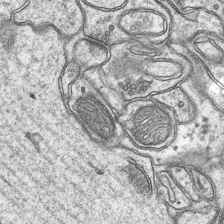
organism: Mouse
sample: CA1 Hippocampus